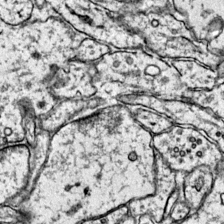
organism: Mouse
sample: Primary visual cortex